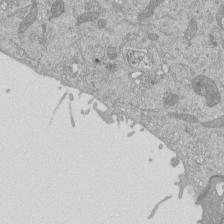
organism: Mouse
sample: ED-1 cell nuclei; centrioles